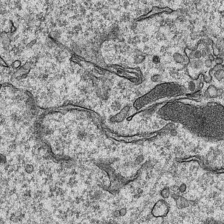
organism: Mouse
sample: CA1 Hippocampus